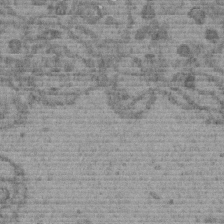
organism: C. elegans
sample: C. elegans embryo early stage